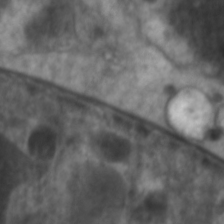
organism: C. elegans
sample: Pharynx